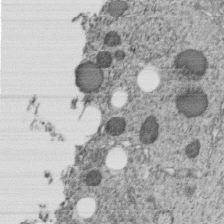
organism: C. elegans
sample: C. elegans embryo early stage